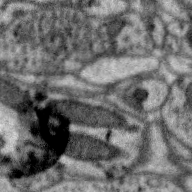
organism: Zebra finch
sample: Brain